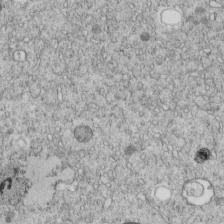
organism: C. elegans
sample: C. elegans embryo early stage